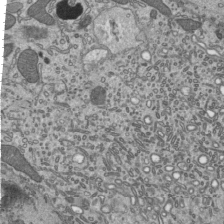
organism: Mouse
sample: Mouse epididymis efferent ductule cilia